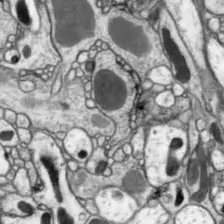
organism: Drosophila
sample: Optic lobe